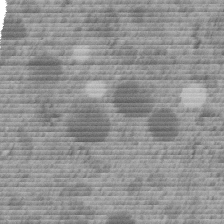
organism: C. elegans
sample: C. elegans embryo early stage